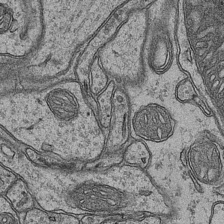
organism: Mouse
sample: CA1 Hippocampus